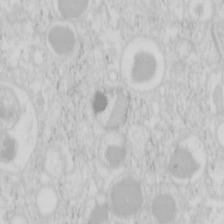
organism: Mouse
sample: Pancreas